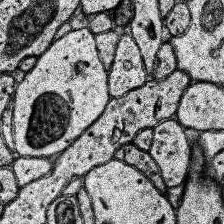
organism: Human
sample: Temporal Lobe